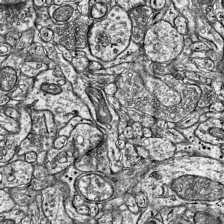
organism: Mouse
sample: Visual Cortex